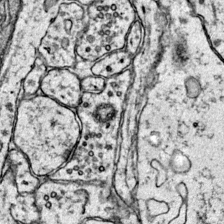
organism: Mouse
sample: Primary visual cortex